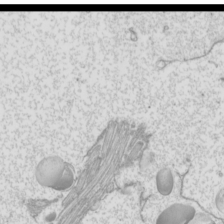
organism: Mouse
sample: Cilia; mouse epididymis